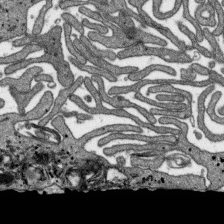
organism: Human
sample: Lung epithelial cells, uninfected (mock) control